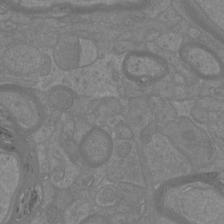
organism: Mouse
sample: Cortical neurons